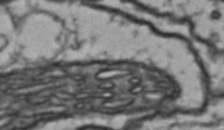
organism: Drosophila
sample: Brain